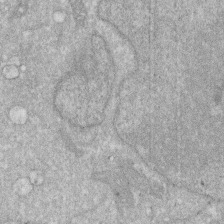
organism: Human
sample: HIV infected U937 cells